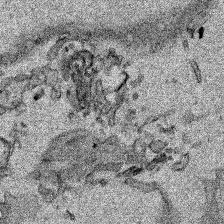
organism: Human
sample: Mitochondria in HCT116 cells